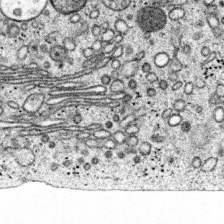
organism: Human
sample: HeLa cells